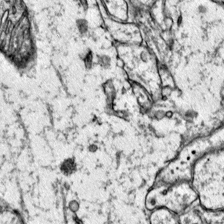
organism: Mouse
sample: Primary visual cortex